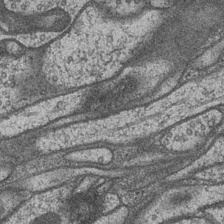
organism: Drosophila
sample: Optic medulla